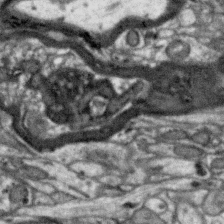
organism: Zebra finch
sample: Brain